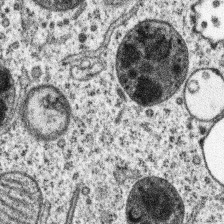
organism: Human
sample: HeLa cells